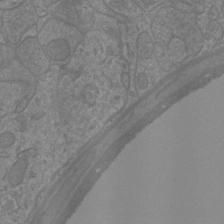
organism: Mouse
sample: Cortical neurons